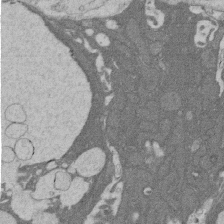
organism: Rat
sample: Salivary granule